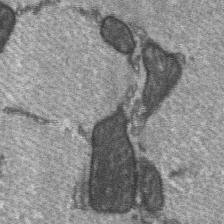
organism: C57BL Mouse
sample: Soleus